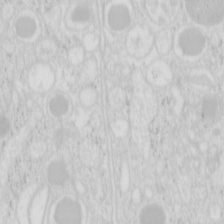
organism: Mouse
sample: Pancreas